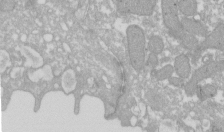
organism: Xenopus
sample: Cilia; centrioles in frog embryo cells